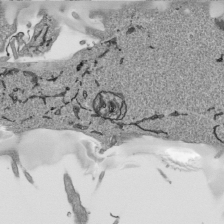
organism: Human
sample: Mitochondria in HCT116 cells